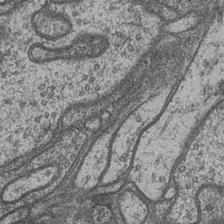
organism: Drosophila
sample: Optic medulla